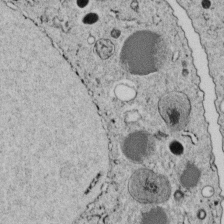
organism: C. elegans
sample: C. elegans embryo early stage